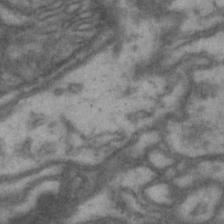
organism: Drosophila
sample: Brain